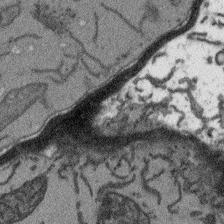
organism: Arabidopsis thaliana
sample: Root tip